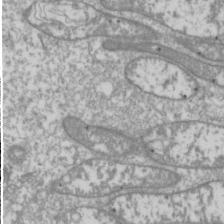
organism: Drosophila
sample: Cell division; meiosis; drosophila spermatocytes